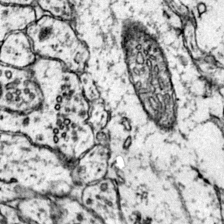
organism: Mouse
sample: Primary visual cortex